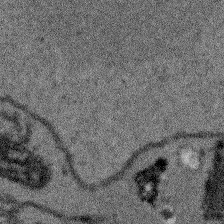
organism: Arabidopsis thaliana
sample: Root tip